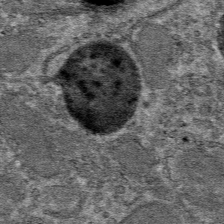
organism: Mouse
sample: Mouse hepatocytes